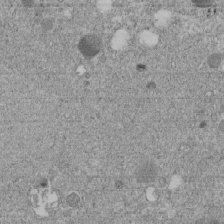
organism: C. elegans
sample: C. elegans embryo early stage